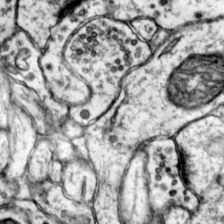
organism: Mouse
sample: Primary visual cortex